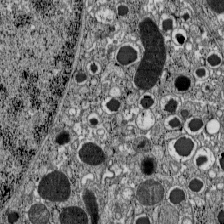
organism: C57BL Mouse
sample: Pancreatic islet